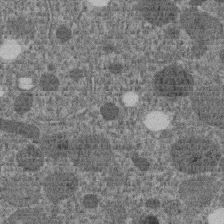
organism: C. elegans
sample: C. elegans embryo early stage